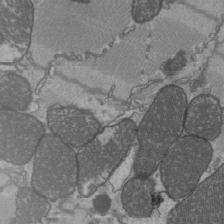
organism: C57BL Mouse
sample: Heart